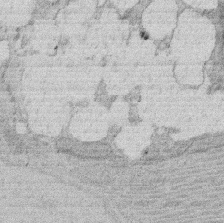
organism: Rat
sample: Salivary granule